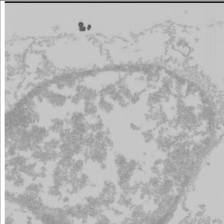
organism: Mouse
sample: Cancer cell death in ED-1 cells